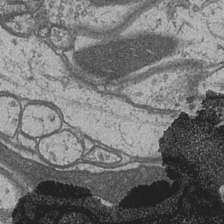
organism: Drosophila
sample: Optic medulla